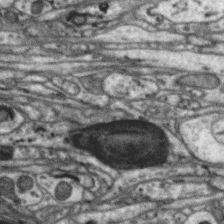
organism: Zebra finch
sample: Brain